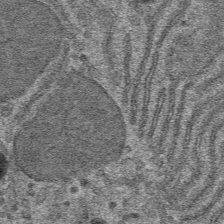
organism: Mouse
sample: Mouse hepatocytes